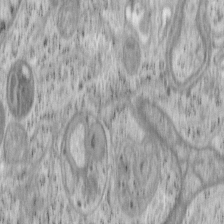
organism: Human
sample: HeLa cells